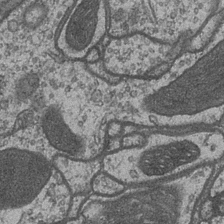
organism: Drosophila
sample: Optic medulla